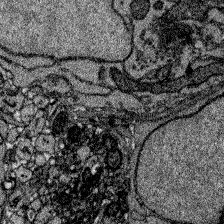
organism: Zebrafish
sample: Larval olfactory bulb